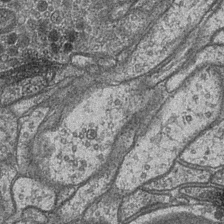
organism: Drosophila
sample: Optic medulla